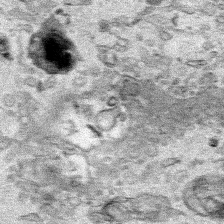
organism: Human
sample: Mitochondria in HCT116 cells